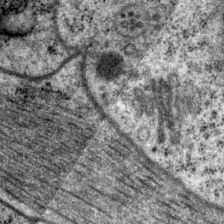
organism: P. pacificus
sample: Pharynx